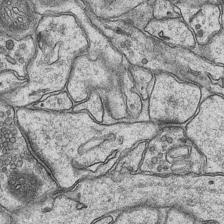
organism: Mouse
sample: CA1 Hippocampus